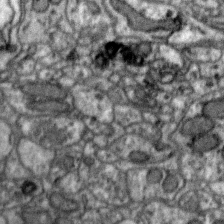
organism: Zebra finch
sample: Brain